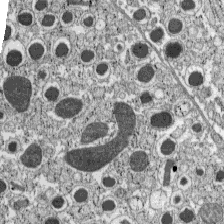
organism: C57BL Mouse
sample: Pancreatic islet